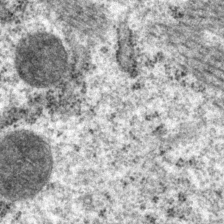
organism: P. pacificus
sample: Pharynx